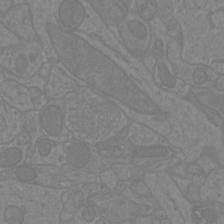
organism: Mouse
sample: Cortical neurons